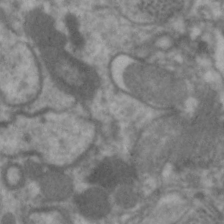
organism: C. elegans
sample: Pharynx